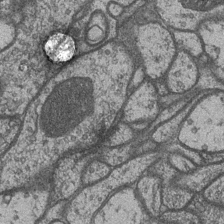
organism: Drosophila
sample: Optic medulla